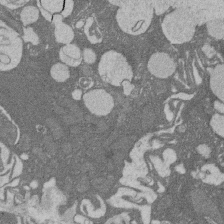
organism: Rat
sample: Salivary granule